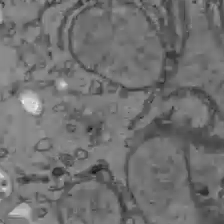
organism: C57BL Mouse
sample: Liver